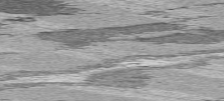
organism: C57BL Mouse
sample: Heart